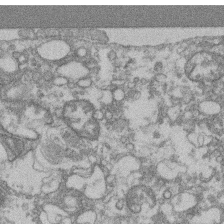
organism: Mouse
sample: T cell stromal cell synapse